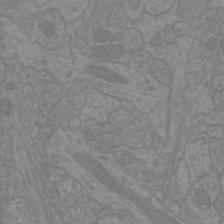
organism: Mouse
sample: Cortical neurons